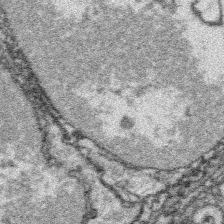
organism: Platynereis dumerilii